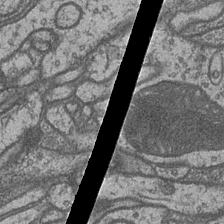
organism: Drosophila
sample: Optic medulla